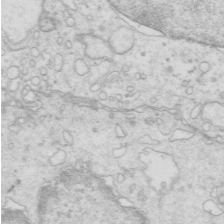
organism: Mouse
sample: Multiciliated cells